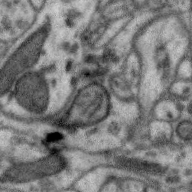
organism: Zebra finch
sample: Brain